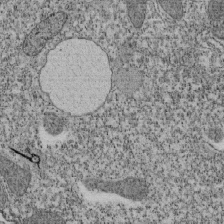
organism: Tetrahymena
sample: Cilia in tetrahymena